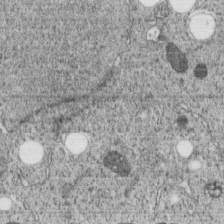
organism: C. elegans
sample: C. elegans embryo early stage